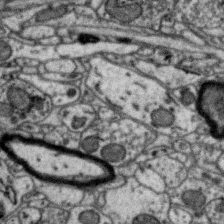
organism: Zebra finch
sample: Brain